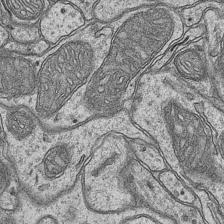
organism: Mouse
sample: CA1 Hippocampus